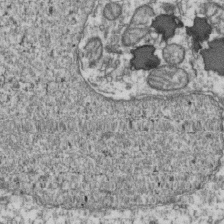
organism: Human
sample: Activated Jurkat CD4+ T cells